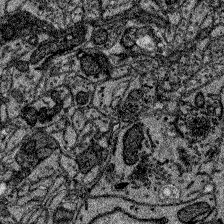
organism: Zebrafish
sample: Larval olfactory bulb